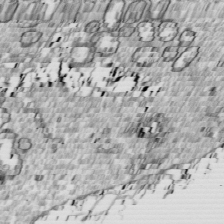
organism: Drosophila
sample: Cell division; meiosis; drosophila spermatocytes